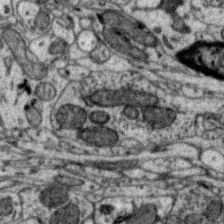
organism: Zebra finch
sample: Brain